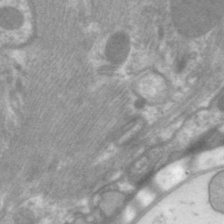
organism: C. elegans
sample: Pharynx